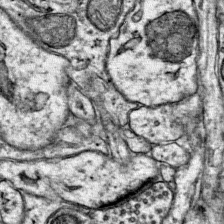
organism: Mouse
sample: Primary visual cortex